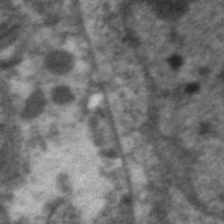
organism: C. elegans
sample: Pharynx